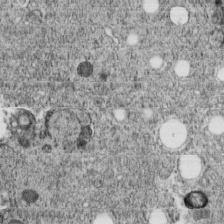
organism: C. elegans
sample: C. elegans embryo early stage